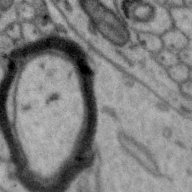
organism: Zebra finch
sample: Brain